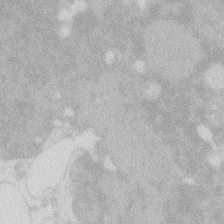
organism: Zebrafish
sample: Macrophage